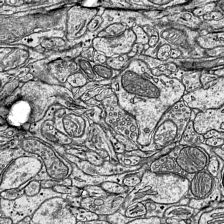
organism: Mouse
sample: Visual Cortex